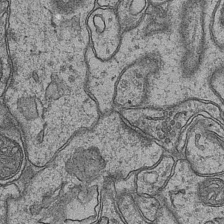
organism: Mouse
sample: CA1 Hippocampus